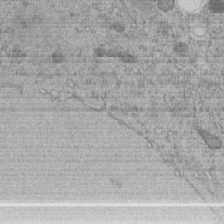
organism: C. elegans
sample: C. elegans embryo early stage